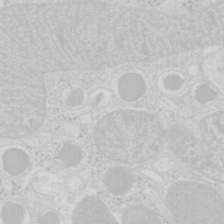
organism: Mouse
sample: Pancreas